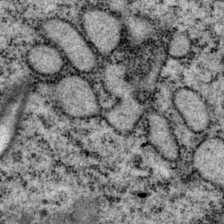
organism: P. pacificus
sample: Pharynx